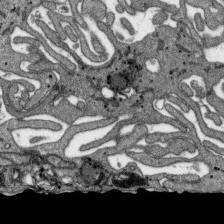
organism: Human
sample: Lung epithelial cells, uninfected (mock) control